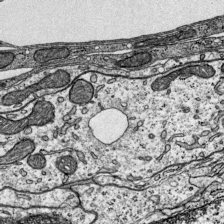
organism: Mouse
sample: Visual Cortex